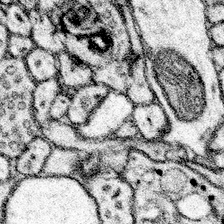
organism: Mouse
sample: Somatosensory cortex neuropil